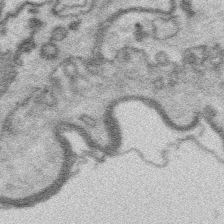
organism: Platynereis dumerilii